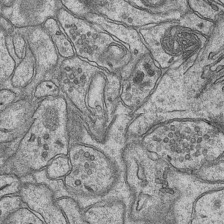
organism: Mouse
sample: CA1 Hippocampus